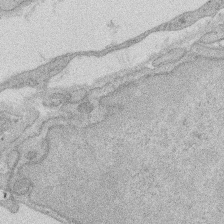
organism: Rat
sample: Salivary granule